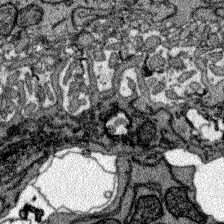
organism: Zebrafish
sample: Larval olfactory bulb